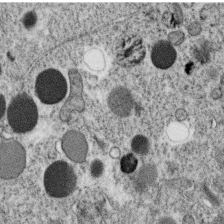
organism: C. elegans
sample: C. elegans oocyte; sperm cells